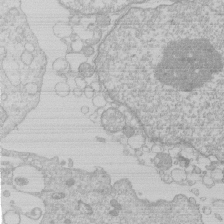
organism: Human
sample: Macrophage cells